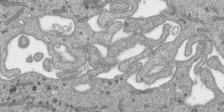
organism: Human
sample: Lung epithelial cells infected with SARS-CoV-2